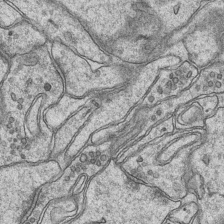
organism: Mouse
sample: CA1 Hippocampus